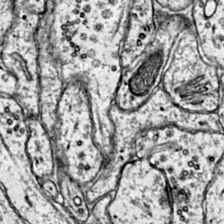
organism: Mouse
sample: Primary visual cortex